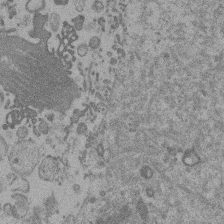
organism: Mouse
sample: Dividing mouse embryo 1 cell stage